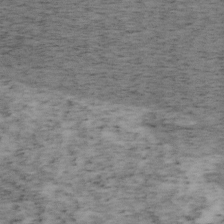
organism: Mouse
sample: OT-I killer T cells with ID8 ovarian cancer cells